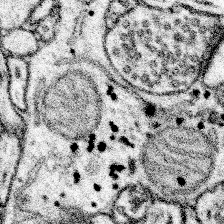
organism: Mouse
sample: Somatosensory cortex neuropil